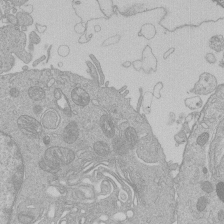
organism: Human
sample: Macrophage cells